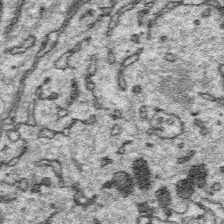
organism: Platynereis dumerilii